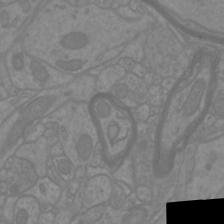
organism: Mouse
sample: Cortical neurons